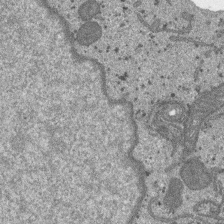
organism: Human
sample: Lung epithelial cells infected with SARS-CoV-2